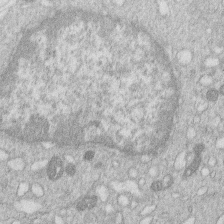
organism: Human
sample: Macrophage cells